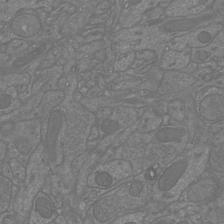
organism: Mouse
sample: Cortical neurons